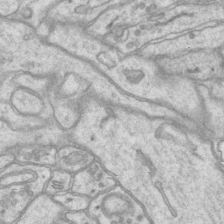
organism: Mouse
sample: CA1 Hippocampus